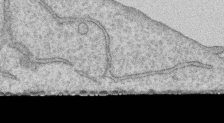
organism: Human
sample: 1205lu cells